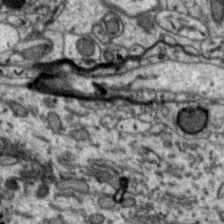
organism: Zebra finch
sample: Brain